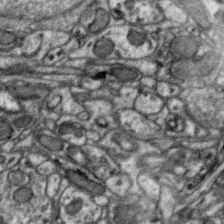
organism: Zebra finch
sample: Brain